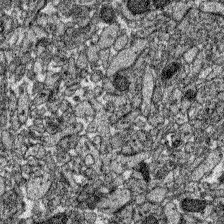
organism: Zebrafish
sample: Larval olfactory bulb